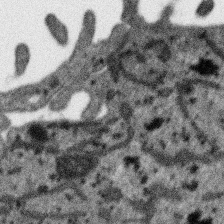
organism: Human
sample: Lung epithelial cells infected with SARS-CoV-2